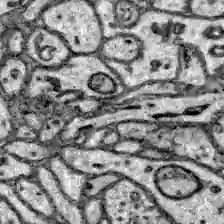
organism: Zebrafish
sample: Brain